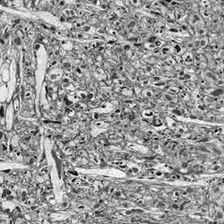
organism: Drosophila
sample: Optic lobe